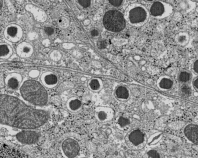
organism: C57BL Mouse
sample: Pancreatic islet